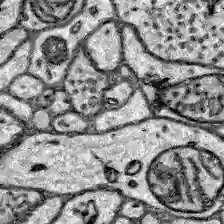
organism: Zebrafish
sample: Brain